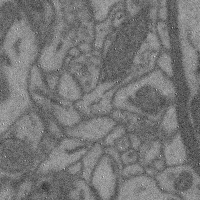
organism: Mouse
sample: Cerebral cortex